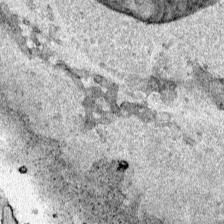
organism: Human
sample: Mitochondria in HCT116 cells